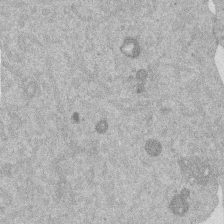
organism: Mouse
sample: Dividing mouse embryo 1 cell stage